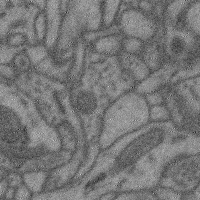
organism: Mouse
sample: Cerebral cortex